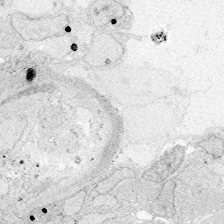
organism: Zebrafish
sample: Whole-Brain